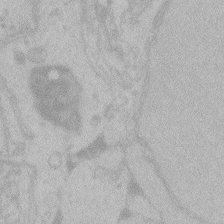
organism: Zebrafish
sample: Macrophage infected with Toxoplasma gondii